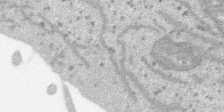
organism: Human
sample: Lung epithelial cells infected with SARS-CoV-2